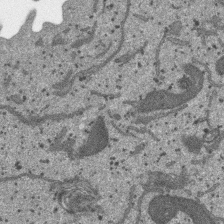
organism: Human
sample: Lung epithelial cells infected with SARS-CoV-2